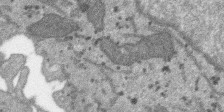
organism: Human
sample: Lung epithelial cells infected with SARS-CoV-2